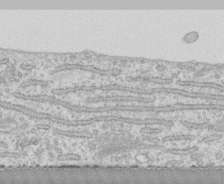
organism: Human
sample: CRL-1474